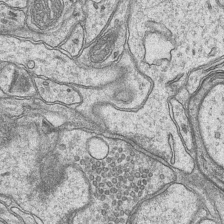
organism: Mouse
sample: CA1 Hippocampus